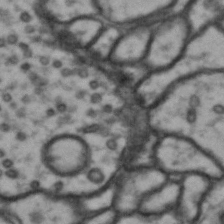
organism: Drosophila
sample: Brain